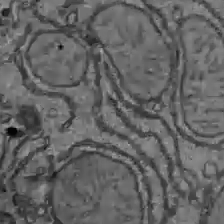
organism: C57BL Mouse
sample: Liver